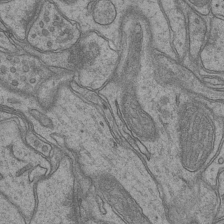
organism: Mouse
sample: CA1 Hippocampus